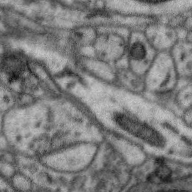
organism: Zebra finch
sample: Brain